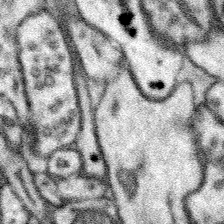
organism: Mouse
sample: Somatosensory cortex neuropil